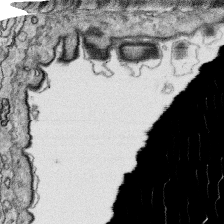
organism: Platynereis dumerilii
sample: Parapodia